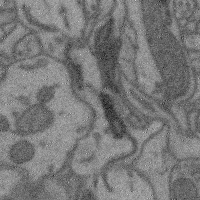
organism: Mouse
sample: Cerebral cortex